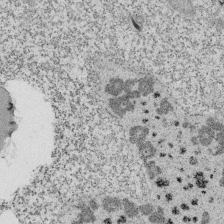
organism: Tetrahymena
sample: Cilia in tetrahymena